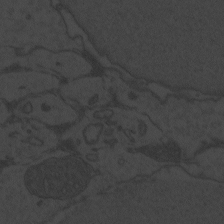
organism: Zebrafish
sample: Macrophage infected with Toxoplasma gondii